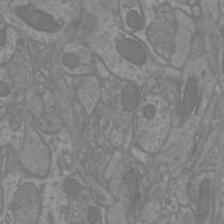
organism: Mouse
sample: Cortical neurons